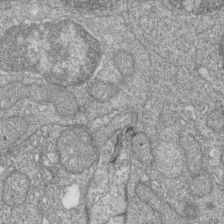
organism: Zebrafish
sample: Cilia; retinal pigment epithelium